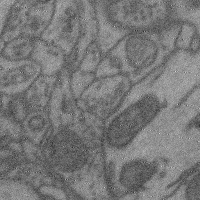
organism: Mouse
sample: Cerebral cortex